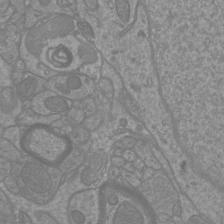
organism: Mouse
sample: Cortical neurons